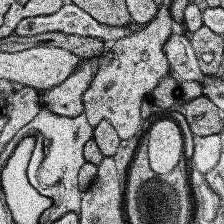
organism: Human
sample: Temporal Lobe